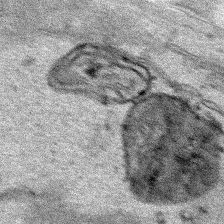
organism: Human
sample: Mitochondria in HCT116 cells